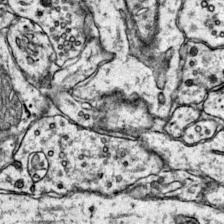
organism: Mouse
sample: Primary visual cortex